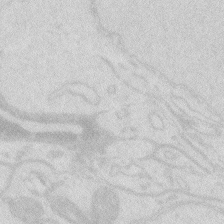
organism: Zebrafish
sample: Macrophage